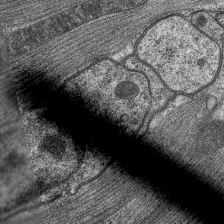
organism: C. elegans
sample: Pharynx